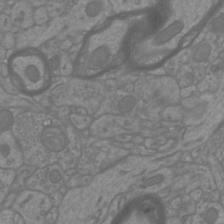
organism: Mouse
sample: Cortical neurons